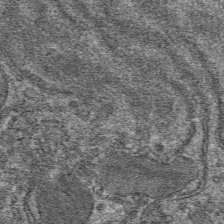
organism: Mouse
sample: Mouse hepatocytes